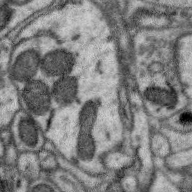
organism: Zebra finch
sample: Brain